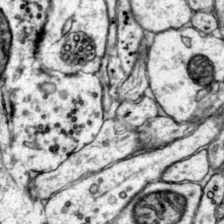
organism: Mouse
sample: Primary visual cortex